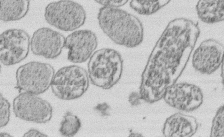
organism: E. coli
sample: Bacterial nucleoid